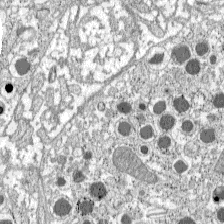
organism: C57BL Mouse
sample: Pancreatic islet